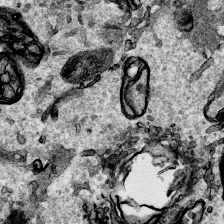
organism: Human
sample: Mitochondria in HCT116 cells